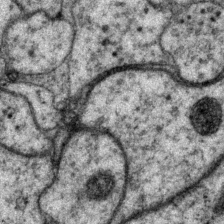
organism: P. pacificus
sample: Pharynx